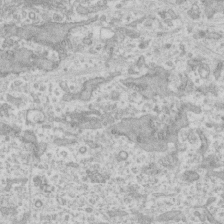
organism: Human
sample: CRL-1474